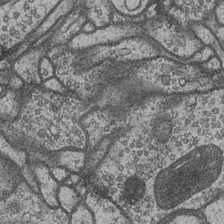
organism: Drosophila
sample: Optic medulla